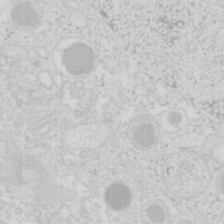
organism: Mouse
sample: Pancreas